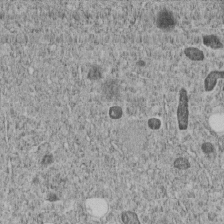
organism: C. elegans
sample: C. elegans embryo early stage